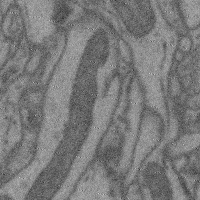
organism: Mouse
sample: Cerebral cortex